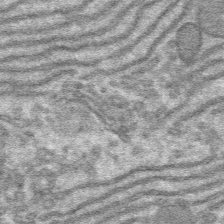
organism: Mouse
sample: Mouse hepatocytes